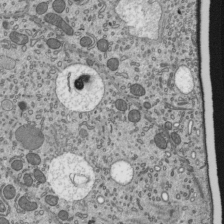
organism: Mouse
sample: Mouse epididymis efferent ductule cilia